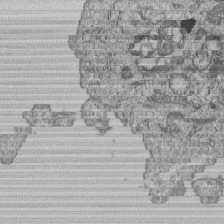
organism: Human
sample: MDA-MB-231 cells